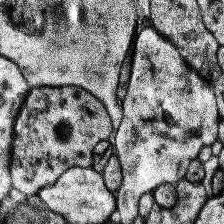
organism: Human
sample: Temporal Lobe